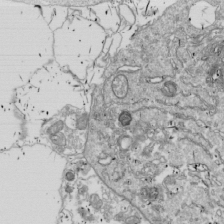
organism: Drosophila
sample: Cell division; meiosis; drosophila spermatocytes